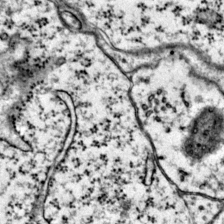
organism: Mouse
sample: Primary visual cortex